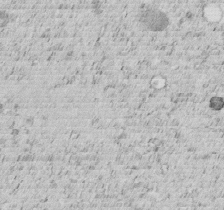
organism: C. elegans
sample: C. elegans embryo early stage